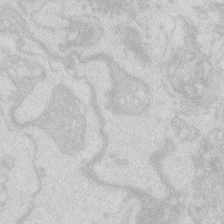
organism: Zebrafish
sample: Macrophage